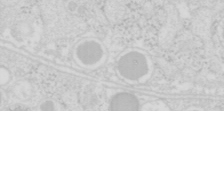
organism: Mouse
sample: Pancreas